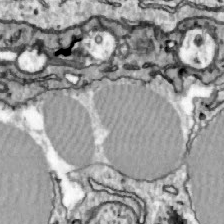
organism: Zebrafish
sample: Actinotrichia fibers